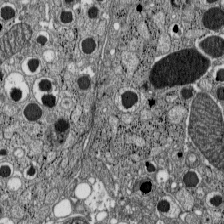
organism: C57BL Mouse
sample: Pancreatic islet